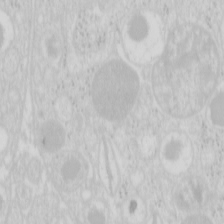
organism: Mouse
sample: Pancreas